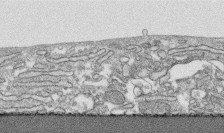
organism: Human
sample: CRL-1474